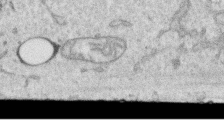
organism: Human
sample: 1205lu cells